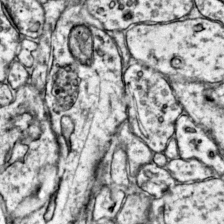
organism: Mouse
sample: Primary visual cortex